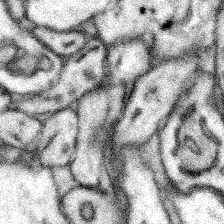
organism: Mouse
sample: Somatosensory cortex neuropil